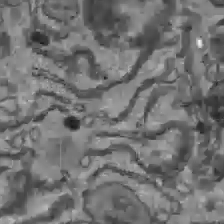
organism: C57BL Mouse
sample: Liver